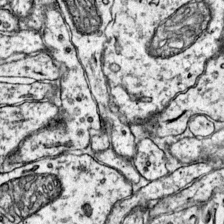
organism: Mouse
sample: Primary visual cortex